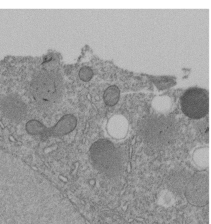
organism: C. elegans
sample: C. elegans embryo early stage